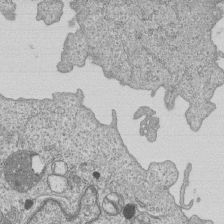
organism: Human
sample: MDA-MB-231 cells